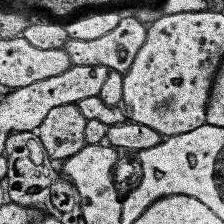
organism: Human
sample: Temporal Lobe